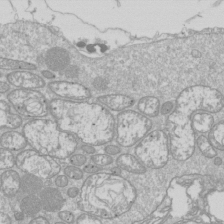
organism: Drosophila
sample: Cell division; meiosis; drosophila spermatocytes